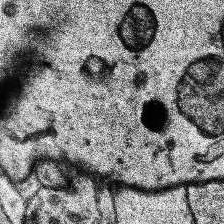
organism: Human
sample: Temporal Lobe